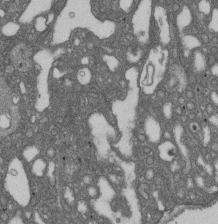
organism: Drosophila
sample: Nephrocyte